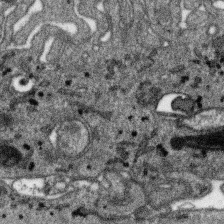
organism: Human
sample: Lung epithelial cells infected with SARS-CoV-2